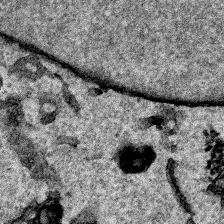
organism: Human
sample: Mitochondria in HCT116 cells